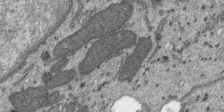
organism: Human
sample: Lung epithelial cells infected with SARS-CoV-2